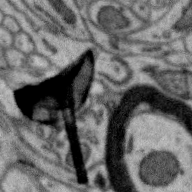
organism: Zebra finch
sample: Brain